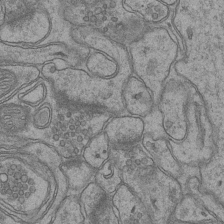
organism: Mouse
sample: CA1 Hippocampus